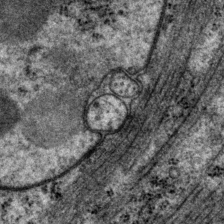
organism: P. pacificus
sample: Pharynx